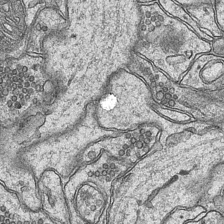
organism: Mouse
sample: CA1 Hippocampus